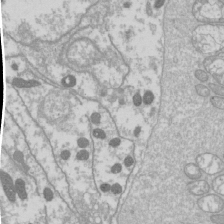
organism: Drosophila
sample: Cell division; meiosis; drosophila spermatocytes